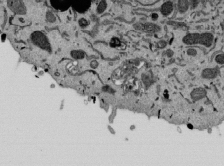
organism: Mouse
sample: ED-1 cell nuclei; centrioles